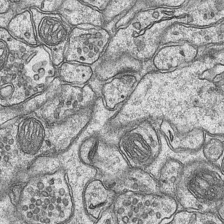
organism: Mouse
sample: CA1 Hippocampus